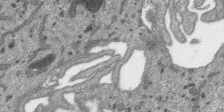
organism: Human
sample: Lung epithelial cells infected with SARS-CoV-2